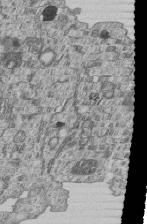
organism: Human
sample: MDA-MB-231 cells